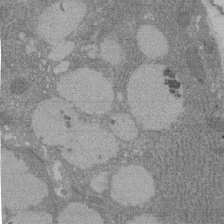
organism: Rat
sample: Salivary granule